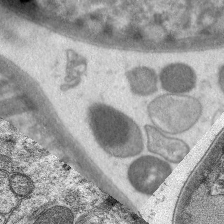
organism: C. elegans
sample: Pharynx